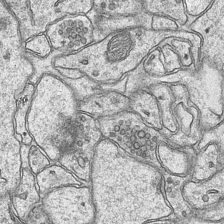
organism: Mouse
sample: CA1 Hippocampus